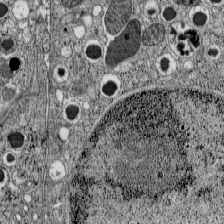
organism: C57BL Mouse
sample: Pancreatic islet